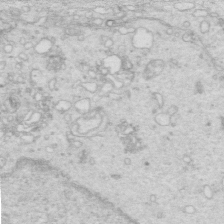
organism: Mouse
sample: Multiciliated cells